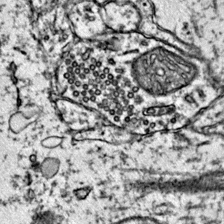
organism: Mouse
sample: Primary visual cortex